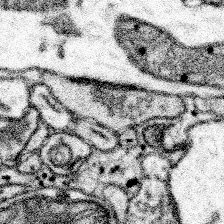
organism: Mouse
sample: Somatosensory cortex neuropil